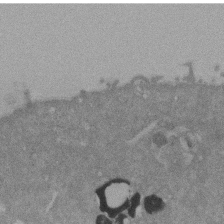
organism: Mouse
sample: ED-1 cell nuclei; centrioles